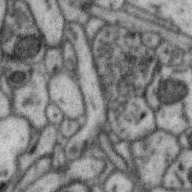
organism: Zebra finch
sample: Brain